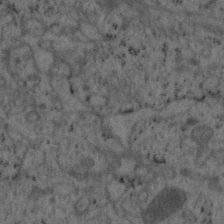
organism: Human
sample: HeLa cells